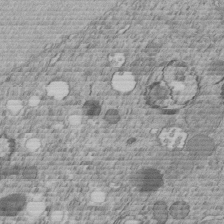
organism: C. elegans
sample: C. elegans embryo early stage